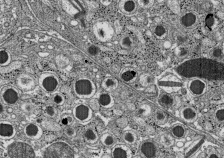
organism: C57BL Mouse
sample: Pancreatic islet